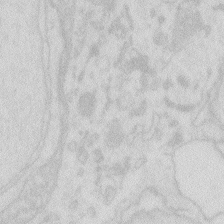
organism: Zebrafish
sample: Macrophage